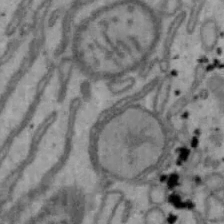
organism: Mouse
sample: Liver